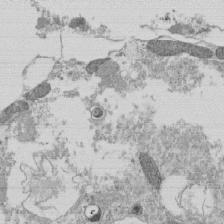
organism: Tetrahymena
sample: Cilia in tetrahymena